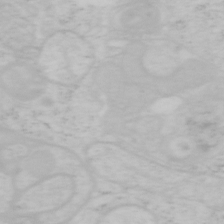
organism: Mouse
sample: OT-I killer T cells with ID8 ovarian cancer cells